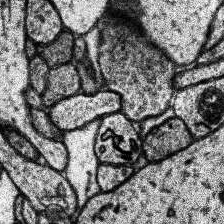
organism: Human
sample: Temporal Lobe